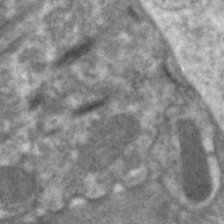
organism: C. elegans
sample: Pharynx